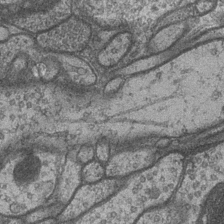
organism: Drosophila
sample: Optic medulla